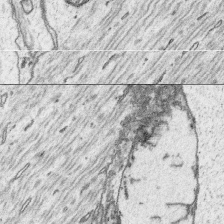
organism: Platynereis dumerilii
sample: Parapodia